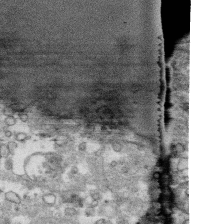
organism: Human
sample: CRL-1474